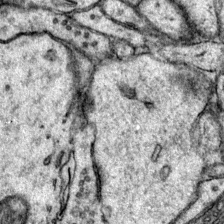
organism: Mouse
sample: Primary visual cortex